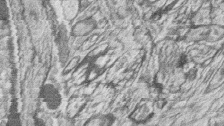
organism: Zebrafish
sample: synaptic ribbons in rod cells and cone cells